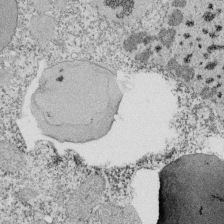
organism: Tetrahymena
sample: Cilia in tetrahymena